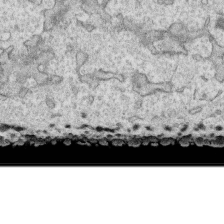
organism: Human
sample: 1205lu cells